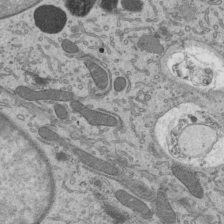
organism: Mouse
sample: Mouse epididymis efferent ductule cilia